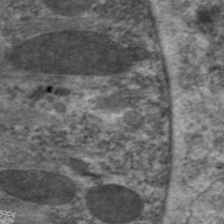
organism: C. elegans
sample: Pharynx